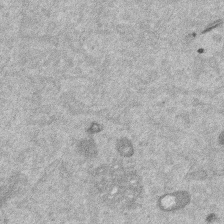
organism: Mouse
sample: Dividing mouse embryo 1 cell stage